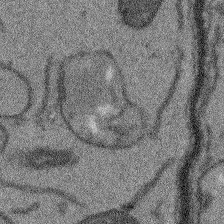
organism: Arabidopsis thaliana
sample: Root tip